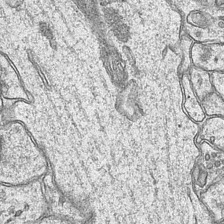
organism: Mouse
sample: CA1 Hippocampus